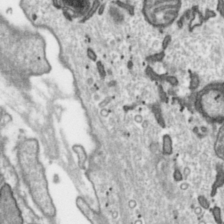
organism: Toxoplasma gondii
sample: Parasites in a vacuole inside a host cell